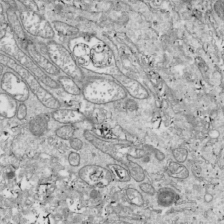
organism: Drosophila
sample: Cell division; meiosis; drosophila spermatocytes